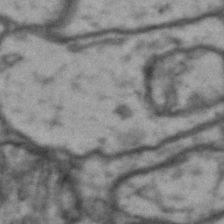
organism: Drosophila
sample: Brain